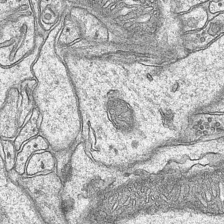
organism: Mouse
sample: CA1 Hippocampus